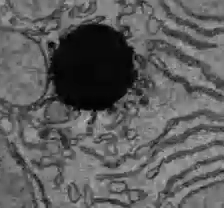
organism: C57BL Mouse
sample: Liver